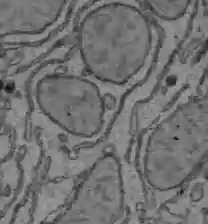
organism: C57BL Mouse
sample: Liver